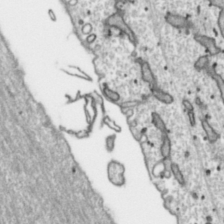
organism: Toxoplasma gondii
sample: Parasites in a vacuole inside a host cell